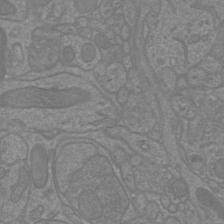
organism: Mouse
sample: Cortical neurons